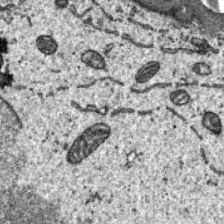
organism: Human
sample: HeLa cells